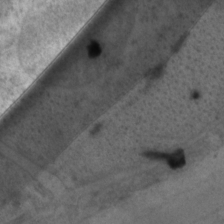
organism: P. pacificus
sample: Pharynx